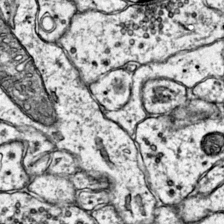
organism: Mouse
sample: Primary visual cortex